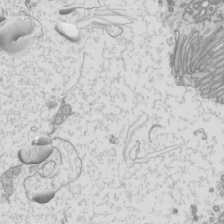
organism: Mouse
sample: Cilia; mouse epididymis